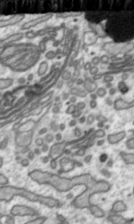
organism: Toxoplasma gondii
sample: Parasites in a vacuole inside a host cell